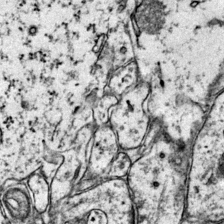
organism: Mouse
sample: Primary visual cortex